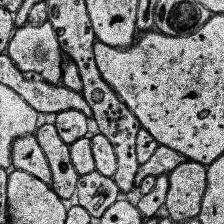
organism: Human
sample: Temporal Lobe